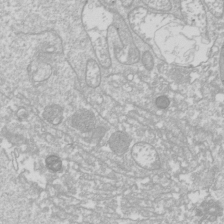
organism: Drosophila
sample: Cell division; meiosis; drosophila spermatocytes